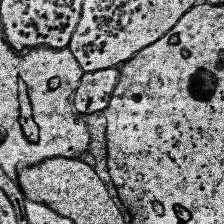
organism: Human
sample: Temporal Lobe